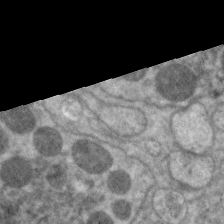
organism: C. elegans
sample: Pharynx